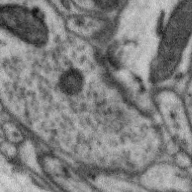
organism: Zebra finch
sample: Brain